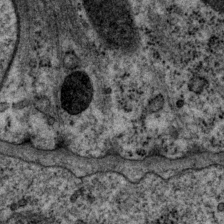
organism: P. pacificus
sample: Pharynx